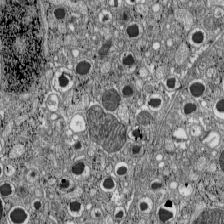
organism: C57BL Mouse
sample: Pancreatic islet